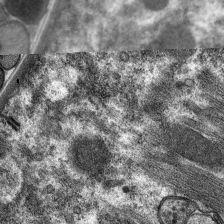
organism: C. elegans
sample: Pharynx